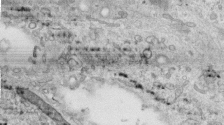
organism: Human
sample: Centriole in RPE cells